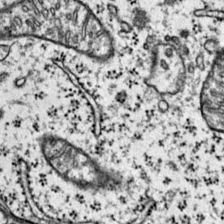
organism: Mouse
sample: Primary visual cortex